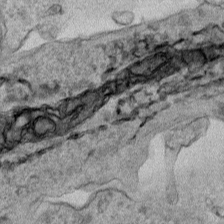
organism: Human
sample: Mitochondria in HCT116 cells